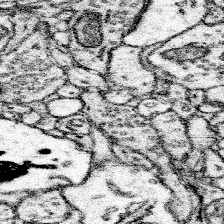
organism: Mouse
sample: Somatosensory cortex neuropil